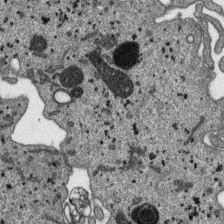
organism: Human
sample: Lung epithelial cells infected with SARS-CoV-2